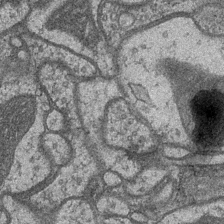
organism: Drosophila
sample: Optic medulla